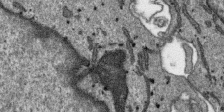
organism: Human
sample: Lung epithelial cells, uninfected (mock) control